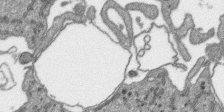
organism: Human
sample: Lung epithelial cells infected with SARS-CoV-2